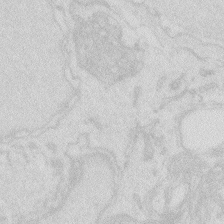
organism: Zebrafish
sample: Macrophage